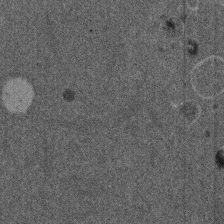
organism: Mouse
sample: Dividing mouse embryo 1 cell stage